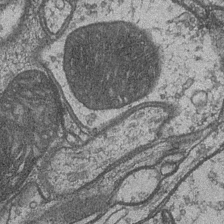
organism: Drosophila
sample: Optic medulla